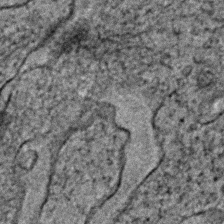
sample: Trachea